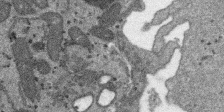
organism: Human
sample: Lung epithelial cells infected with SARS-CoV-2